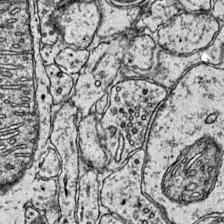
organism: Mouse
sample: Primary visual cortex